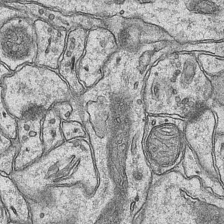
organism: Mouse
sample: CA1 Hippocampus